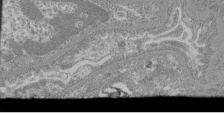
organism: Mouse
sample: Glomerulus